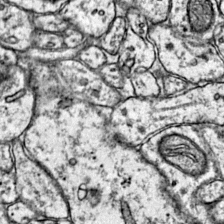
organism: Mouse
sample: Primary visual cortex